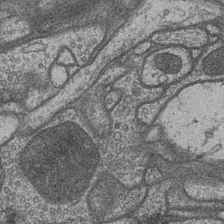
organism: Drosophila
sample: Optic medulla